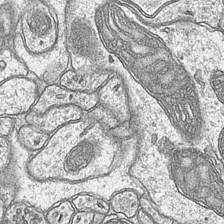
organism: Mouse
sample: CA1 Hippocampus